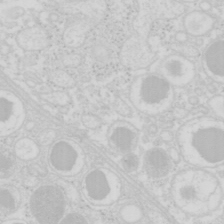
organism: Mouse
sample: Pancreas